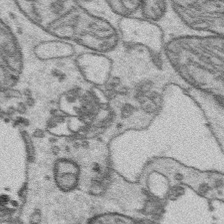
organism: Platynereis dumerilii